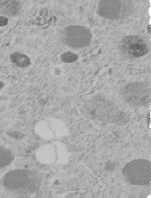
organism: C. elegans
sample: C. elegans embryo early stage